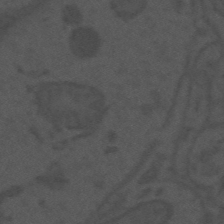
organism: Mouse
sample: Suprachiasmatic nucleus